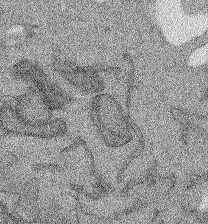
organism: Human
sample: HeLa cells